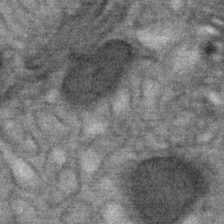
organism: Mouse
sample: Mouse Salivary gland